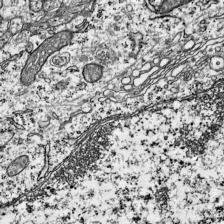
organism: Mouse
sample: Visual Cortex